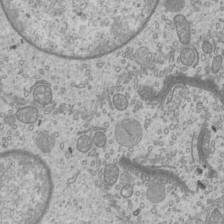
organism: Mouse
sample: Cilia; mouse epididymis